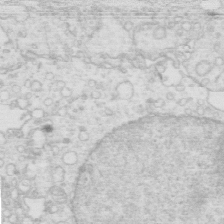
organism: Mouse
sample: Multiciliated cells